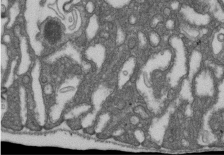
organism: Drosophila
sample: Nephrocyte